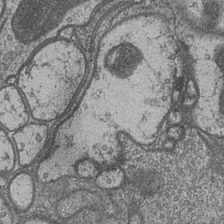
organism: Drosophila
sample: Optic medulla